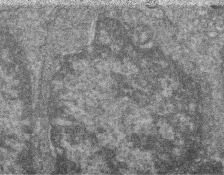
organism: Zebrafish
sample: Cilia; retinal pigment epithelium